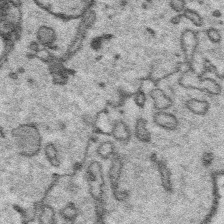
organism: Platynereis dumerilii